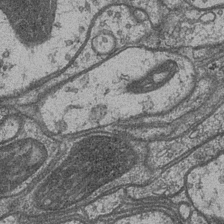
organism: Drosophila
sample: Optic medulla